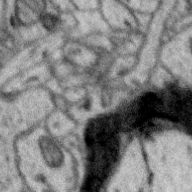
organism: Zebra finch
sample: Brain